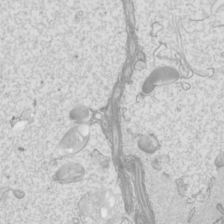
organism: Mouse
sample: Cilia; mouse epididymis